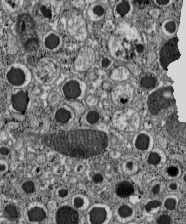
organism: C57BL Mouse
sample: Pancreatic islet